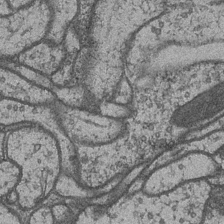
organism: Drosophila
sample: Optic medulla